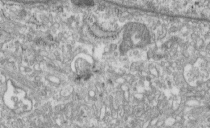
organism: Human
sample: Centriole in fibroblast cells